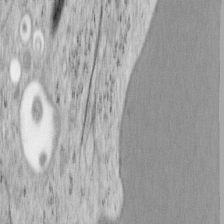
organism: Human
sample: HeLa cells